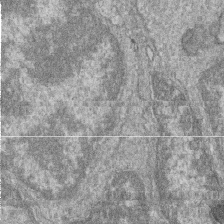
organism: Zebrafish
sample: Cilia; retinal pigment epithelium